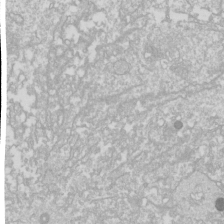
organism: Drosophila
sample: Cell division; meiosis; drosophila spermatocytes